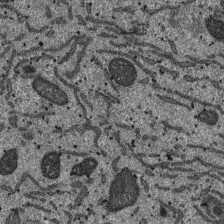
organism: Human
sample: Lung epithelial cells infected with SARS-CoV-2